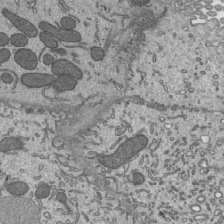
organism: Mouse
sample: Mouse epididymis efferent ductule cilia